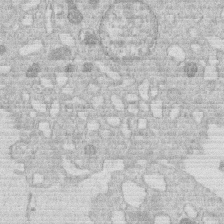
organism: Human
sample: Macrophage cells